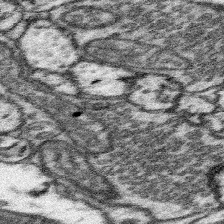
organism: Mouse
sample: Somatosensory cortex neuropil